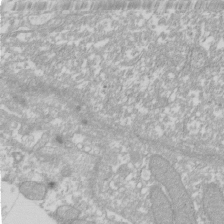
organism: Xenopus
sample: Cilia; centrioles in frog embryo cells